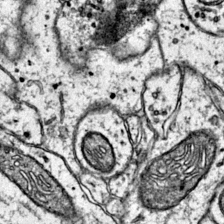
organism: Mouse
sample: Primary visual cortex